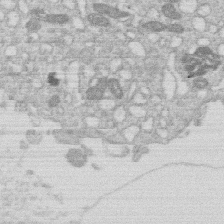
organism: Human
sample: Macrophage cells